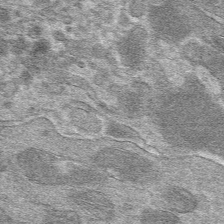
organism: Mouse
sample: Mouse hepatocytes